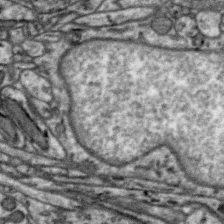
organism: Zebra finch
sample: Brain